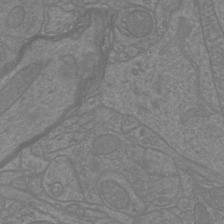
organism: Mouse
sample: Cortical neurons